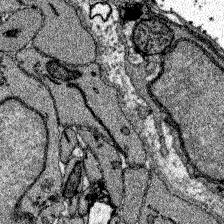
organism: Zebrafish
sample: Larval olfactory bulb